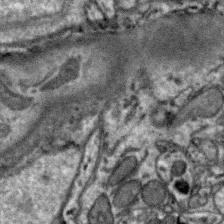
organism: Zebra finch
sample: Brain